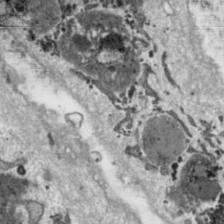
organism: Toxoplasma gondii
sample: Parasites in a vacuole inside a host cell